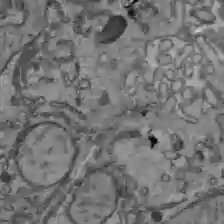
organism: C57BL Mouse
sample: Liver